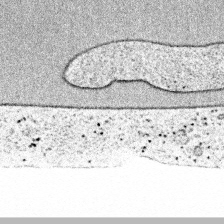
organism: Human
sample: HeLa cells